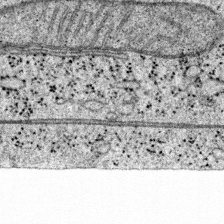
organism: Human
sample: HeLa cells